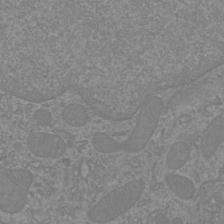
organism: Mouse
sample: Cortical neurons